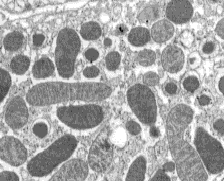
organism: C57BL Mouse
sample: Pancreatic islet